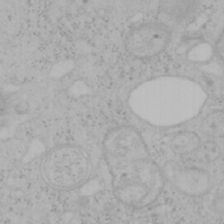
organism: Mouse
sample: OT-I killer T cells with ID8 ovarian cancer cells